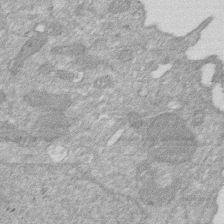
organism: Human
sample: HIV infected U937 cells